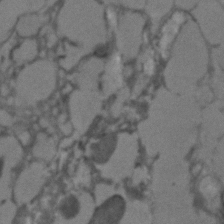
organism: C. elegans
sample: C. elegans embryo